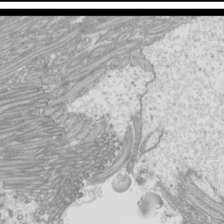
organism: Mouse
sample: Cilia; mouse epididymis